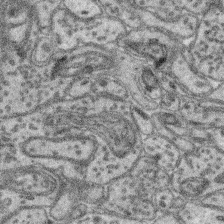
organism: Mouse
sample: Retina